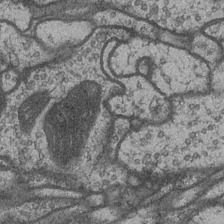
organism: Drosophila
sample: Optic medulla